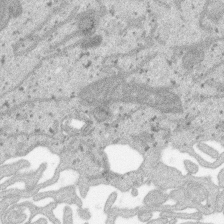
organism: Human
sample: Lung epithelial cells infected with SARS-CoV-2